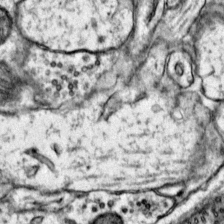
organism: Mouse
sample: Primary visual cortex